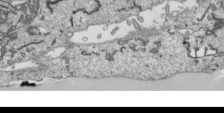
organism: Human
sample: Mitochondria in HCT116 cells